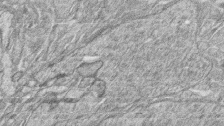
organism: Zebrafish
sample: synaptic ribbons in rod cells and cone cells